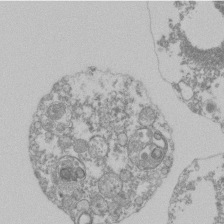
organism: Mouse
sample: Activated Pmel transgenic CD8+ T Cells